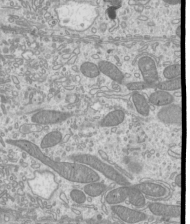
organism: Mouse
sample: Cilia; mouse epididymis